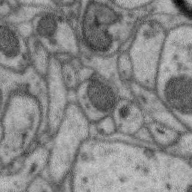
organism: Zebra finch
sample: Brain